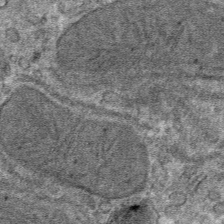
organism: Mouse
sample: Mouse hepatocytes